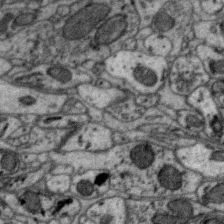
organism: Zebra finch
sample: Brain